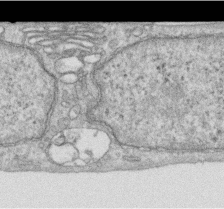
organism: Human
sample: Centriole in RPE cells